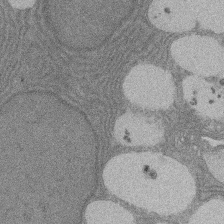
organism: Rat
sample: Salivary granule